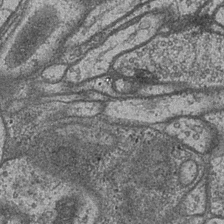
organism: Drosophila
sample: Optic medulla